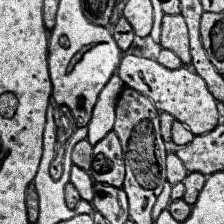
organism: Human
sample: Temporal Lobe